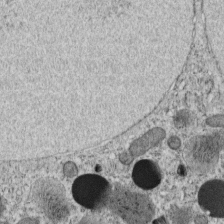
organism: C. elegans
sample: C. elegans embryo early stage